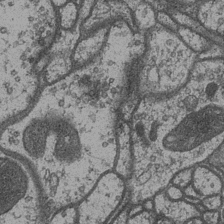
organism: Drosophila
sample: Optic medulla